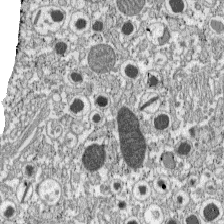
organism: C57BL Mouse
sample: Pancreatic islet